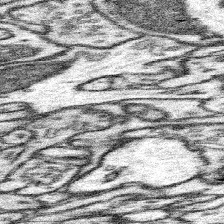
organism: Mouse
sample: Somatosensory cortex neuropil